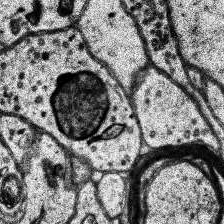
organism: Human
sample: Temporal Lobe